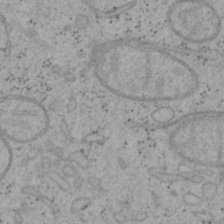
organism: Human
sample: HeLa cells